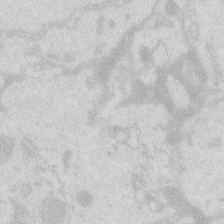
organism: Zebrafish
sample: Macrophage